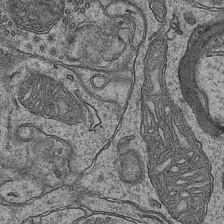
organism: Mouse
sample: CA1 Hippocampus